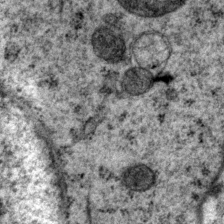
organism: P. pacificus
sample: Pharynx